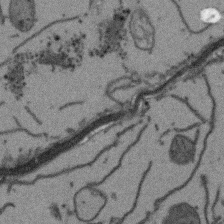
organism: Arabidopsis thaliana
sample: Root tip